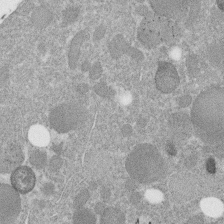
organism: C. elegans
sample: C. elegans embryo early stage